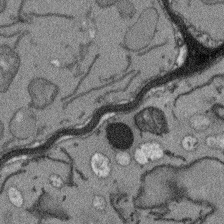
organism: Arabidopsis thaliana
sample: Root tip